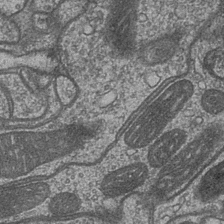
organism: Drosophila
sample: Optic medulla